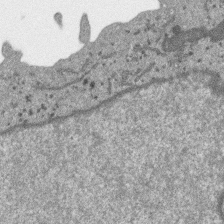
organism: Human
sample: Lung epithelial cells infected with SARS-CoV-2